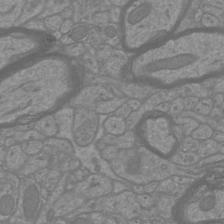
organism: Mouse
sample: Cortical neurons